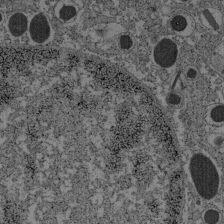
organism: C57BL Mouse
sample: Pancreatic islet